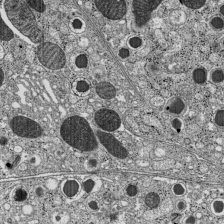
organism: C57BL Mouse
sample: Pancreatic islet